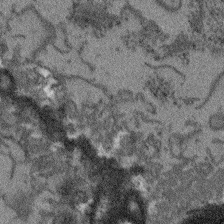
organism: Arabidopsis thaliana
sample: Root tip